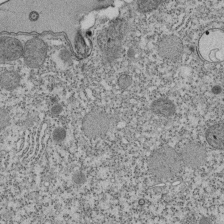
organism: Tetrahymena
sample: Cilia in tetrahymena